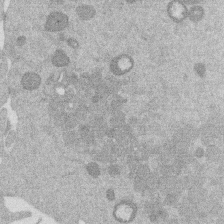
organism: Mouse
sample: Dividing mouse embryo 1 cell stage